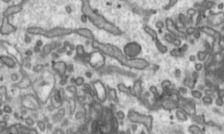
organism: Toxoplasma gondii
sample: Parasites in a vacuole inside a host cell